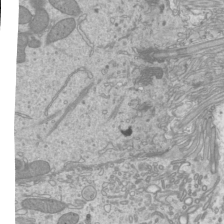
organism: Mouse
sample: Cilia; mouse epididymis